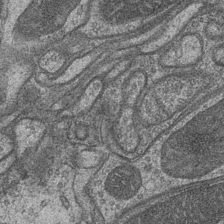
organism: Drosophila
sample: Optic medulla